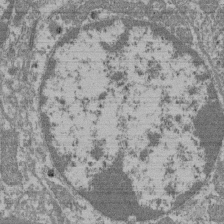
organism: Mouse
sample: Glomerulus